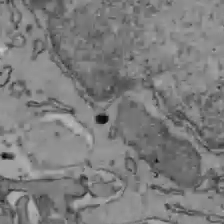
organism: C57BL Mouse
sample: Liver